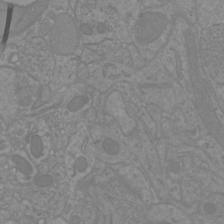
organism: Mouse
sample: Cortical neurons